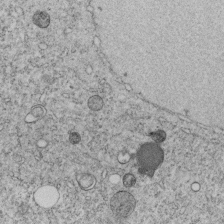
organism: C. elegans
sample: C. elegans embryo early stage